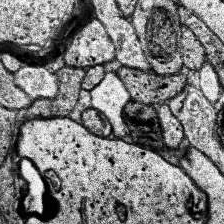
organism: Human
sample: Temporal Lobe